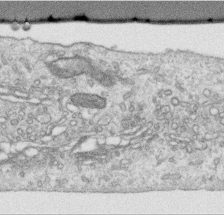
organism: Human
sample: Centriole in RPE cells